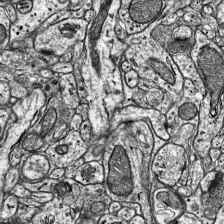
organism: Mouse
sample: Visual Cortex